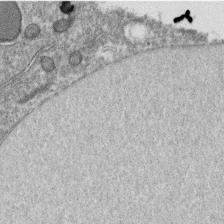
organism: C. elegans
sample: C. elegans oocyte; sperm cells